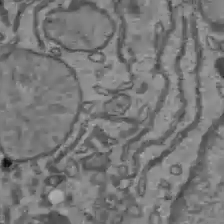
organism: C57BL Mouse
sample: Liver